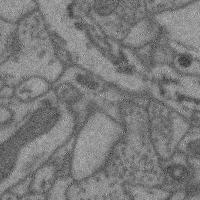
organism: Mouse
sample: Cerebral cortex